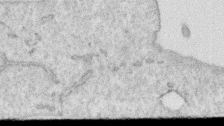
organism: Human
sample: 1205lu cells